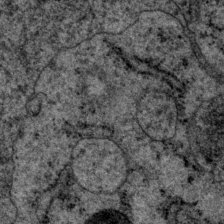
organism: P. pacificus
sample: Pharynx